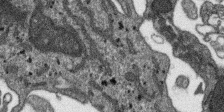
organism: Human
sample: Lung epithelial cells infected with SARS-CoV-2